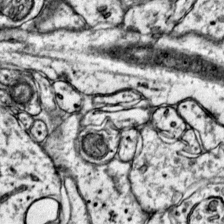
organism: Mouse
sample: Primary visual cortex